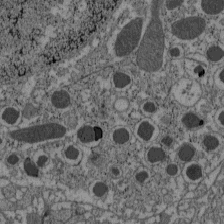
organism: C57BL Mouse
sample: Pancreatic islet